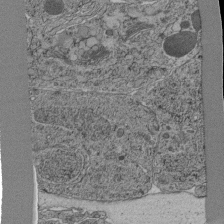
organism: C. elegans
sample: C. elegans pharynx